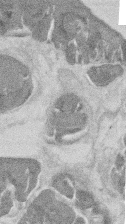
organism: Mouse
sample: T cell stromal cell synapse